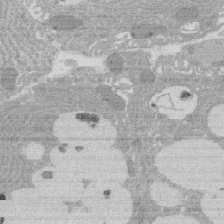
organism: Rat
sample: Salivary granule